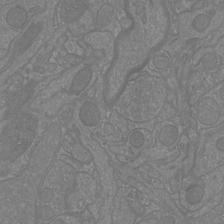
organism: Mouse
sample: Cortical neurons